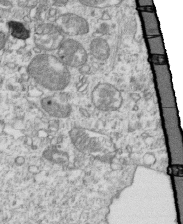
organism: Mouse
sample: Activated OT-1 CD8+ T cells